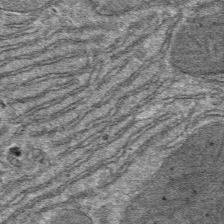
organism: Mouse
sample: Mouse hepatocytes